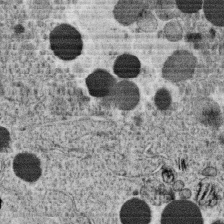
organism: C. elegans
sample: C. elegans oocyte; sperm cells